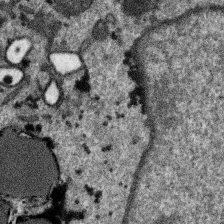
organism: Human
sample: Lung epithelial cells infected with SARS-CoV-2